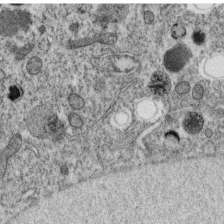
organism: C. elegans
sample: C. elegans oocyte; sperm cells